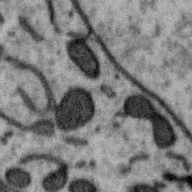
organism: Zebra finch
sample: Brain